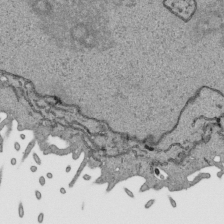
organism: Human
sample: Mitochondria in HCT116 cells